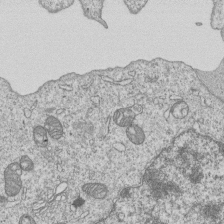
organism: Human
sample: MDA-MB-231 cells